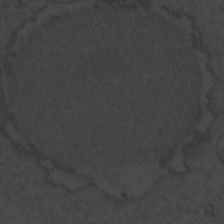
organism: Zebrafish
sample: Macrophage infected with Toxoplasma gondii